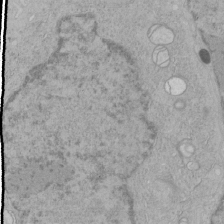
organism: Human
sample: Mitochondria in HCT116 cells